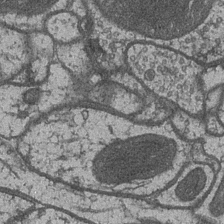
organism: Drosophila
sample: Optic medulla